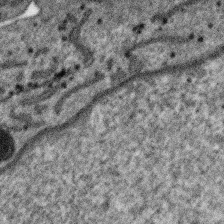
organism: Human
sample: Lung epithelial cells infected with SARS-CoV-2